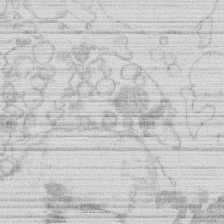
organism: Human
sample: Macrophage cells